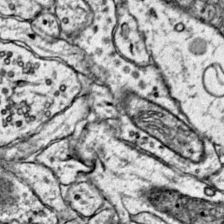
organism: Mouse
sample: Primary visual cortex